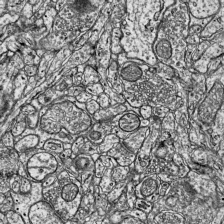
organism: Mouse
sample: Visual Cortex